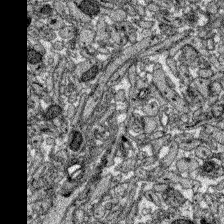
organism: Zebrafish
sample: Larval olfactory bulb